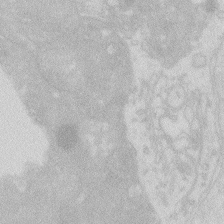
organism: Zebrafish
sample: Macrophage